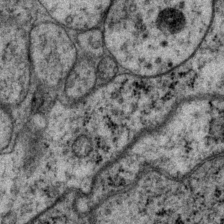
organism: P. pacificus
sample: Pharynx